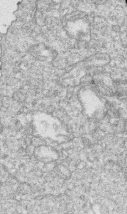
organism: Human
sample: HeLa cell HIV synapse